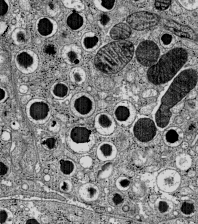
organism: C57BL Mouse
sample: Pancreatic islet